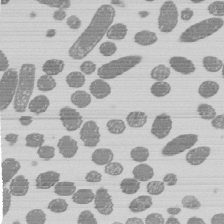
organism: E. coli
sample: Bacterial nucleoid